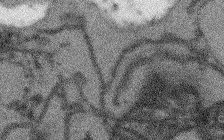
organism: Arabidopsis thaliana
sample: Root tip